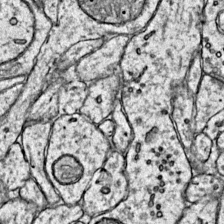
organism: Mouse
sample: Primary visual cortex